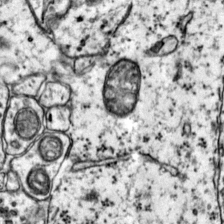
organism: Mouse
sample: Primary visual cortex